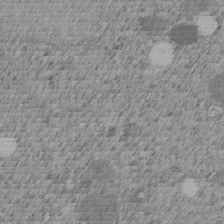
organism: C. elegans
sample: C. elegans embryo early stage